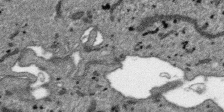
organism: Human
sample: Lung epithelial cells, uninfected (mock) control